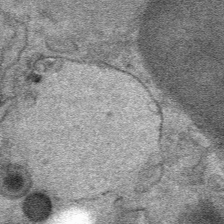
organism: Mouse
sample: Mouse Salivary gland